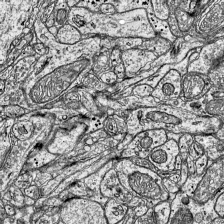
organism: Mouse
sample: Visual Cortex